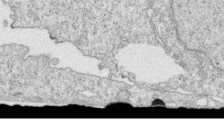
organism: Human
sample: HeLa cell HIV synapse